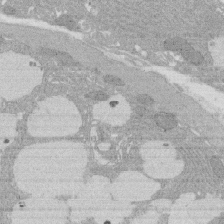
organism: Rat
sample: Salivary granule